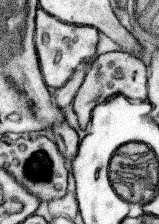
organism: Mouse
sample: Somatosensory cortex neuropil